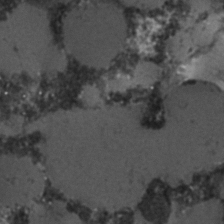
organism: C. elegans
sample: C. elegans embryo